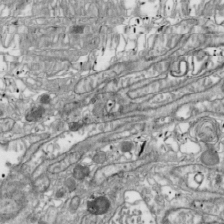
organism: Drosophila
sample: Cell division; meiosis; drosophila spermatocytes